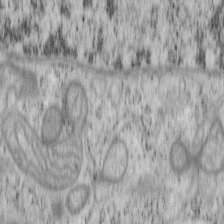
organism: Human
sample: HeLa cells